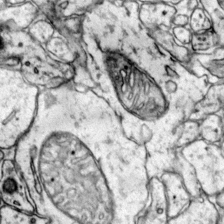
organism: Mouse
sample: Primary visual cortex